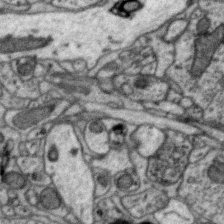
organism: Zebra finch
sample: Brain